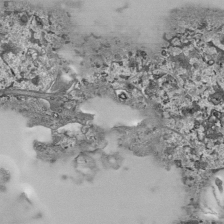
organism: Human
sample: Mitochondria in HCT116 cells